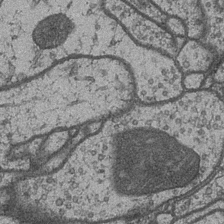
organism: Drosophila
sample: Optic medulla